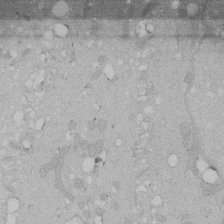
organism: Human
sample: Melanocyte Keratinocyte synapse skin construct